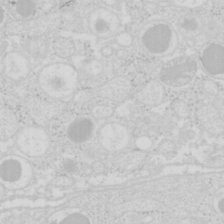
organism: Mouse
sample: Pancreas